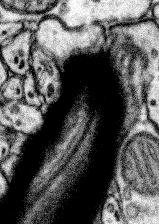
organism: Mouse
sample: Somatosensory cortex neuropil